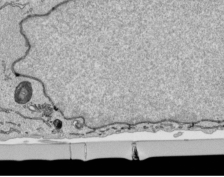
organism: Human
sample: Mitochondria in HCT116 cells